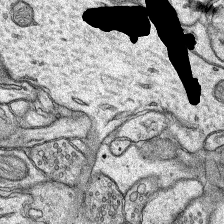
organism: Rat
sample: Hippocampus